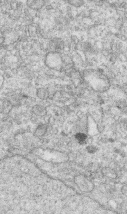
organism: Human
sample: HeLa cell HIV synapse